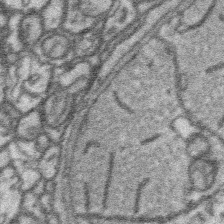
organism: Platynereis dumerilii